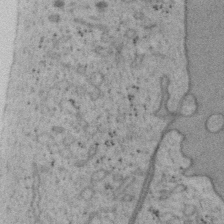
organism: Human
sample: HeLa cells